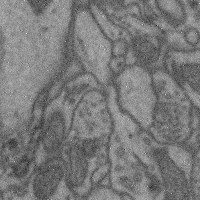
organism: Mouse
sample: Cerebral cortex